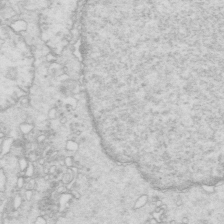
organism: Mouse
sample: Multiciliated cells